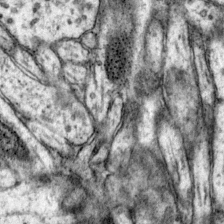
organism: Mouse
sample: Primary visual cortex